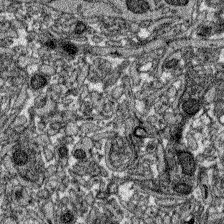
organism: Zebrafish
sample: Larval olfactory bulb